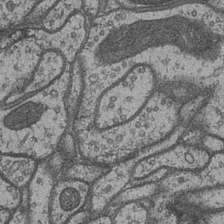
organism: Drosophila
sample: Optic medulla